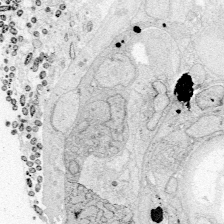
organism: Zebrafish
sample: Whole-Brain